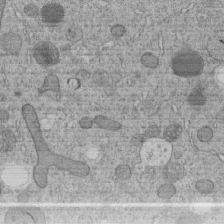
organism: C. elegans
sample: C. elegans embryo early stage